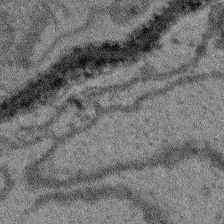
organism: Arabidopsis thaliana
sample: Root tip